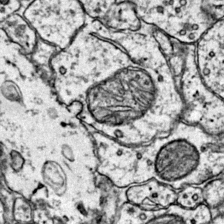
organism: Mouse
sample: Primary visual cortex